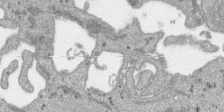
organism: Human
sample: Lung epithelial cells infected with SARS-CoV-2